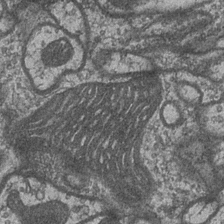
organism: Drosophila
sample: Optic medulla